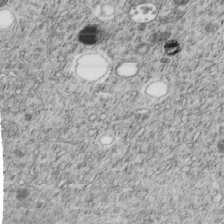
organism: C. elegans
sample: C. elegans embryo early stage